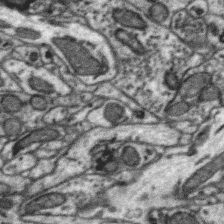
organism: Zebra finch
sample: Brain